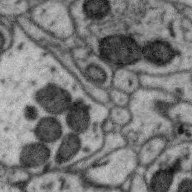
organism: Zebra finch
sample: Brain